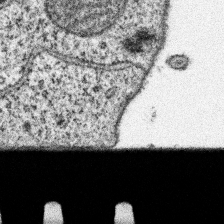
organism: Human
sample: HeLa cells